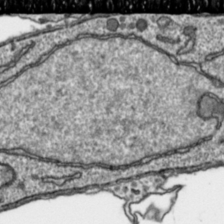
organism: Toxoplasma gondii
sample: Parasites in a vacuole inside a host cell